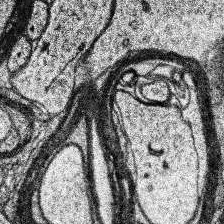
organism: Human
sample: Temporal Lobe